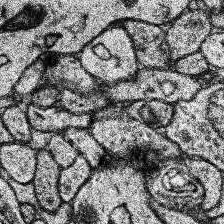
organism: Human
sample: Temporal Lobe